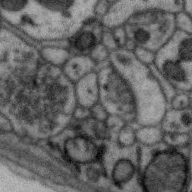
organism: Zebra finch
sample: Brain